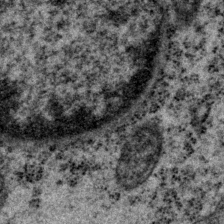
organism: P. pacificus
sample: Pharynx